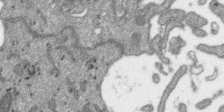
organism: Human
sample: Lung epithelial cells infected with SARS-CoV-2